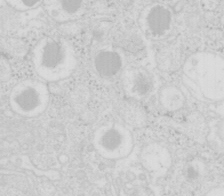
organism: Mouse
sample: Pancreas